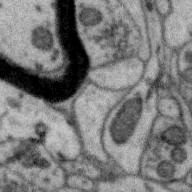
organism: Zebra finch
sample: Brain